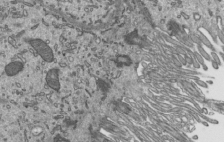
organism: Mouse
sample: Mouse epididymis efferent ductule cilia